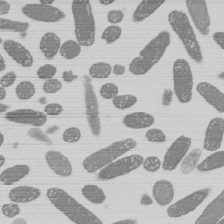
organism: E. coli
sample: Bacterial nucleoid